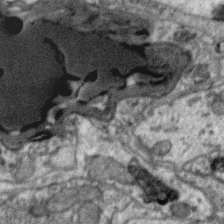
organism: Zebra finch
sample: Brain